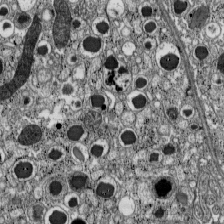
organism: C57BL Mouse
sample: Pancreatic islet